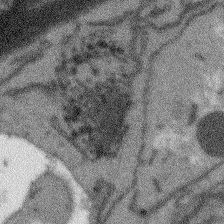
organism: Arabidopsis thaliana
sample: Root tip